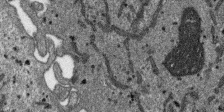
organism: Human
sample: Lung epithelial cells infected with SARS-CoV-2